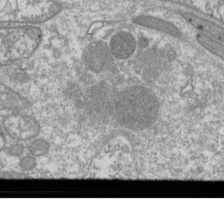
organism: Drosophila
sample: Cell division; meiosis; drosophila spermatocytes